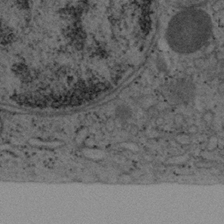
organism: Human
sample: HeLa cells